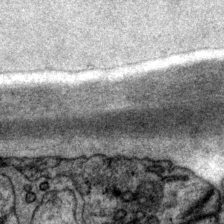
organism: P. pacificus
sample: Pharynx